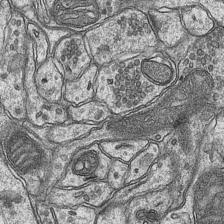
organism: Mouse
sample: CA1 Hippocampus